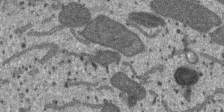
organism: Human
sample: Lung epithelial cells infected with SARS-CoV-2